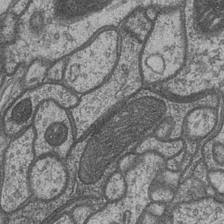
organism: Drosophila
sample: Optic medulla